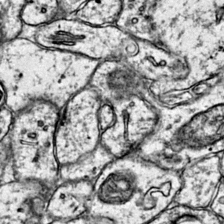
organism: Mouse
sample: Primary visual cortex